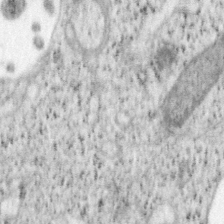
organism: Mouse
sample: OT-I killer T cells with ID8 ovarian cancer cells